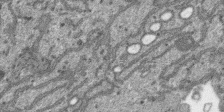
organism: Human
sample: Lung epithelial cells infected with SARS-CoV-2